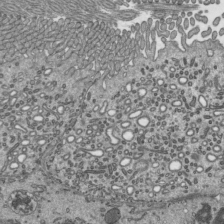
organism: Mouse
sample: Mouse epididymis efferent ductule cilia